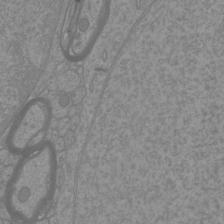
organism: Mouse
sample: Cortical neurons